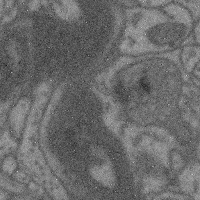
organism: Mouse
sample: Cerebral cortex